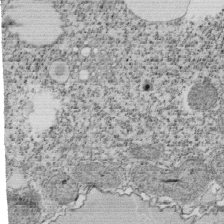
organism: Tetrahymena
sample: Cilia in tetrahymena